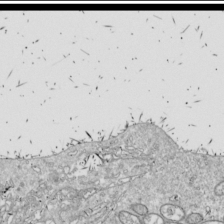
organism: Drosophila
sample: Cell division; meiosis; drosophila spermatocytes